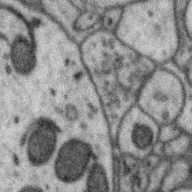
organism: Zebra finch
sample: Brain